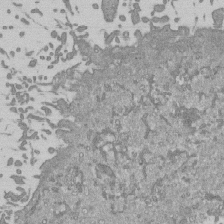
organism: Mouse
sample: ED-1 cell nuclei; centrioles